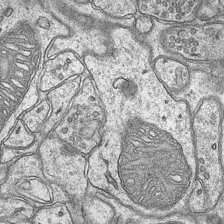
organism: Mouse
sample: CA1 Hippocampus